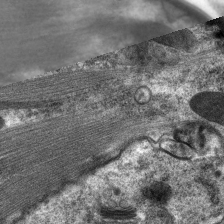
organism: C. elegans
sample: Pharynx